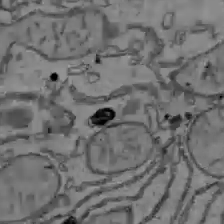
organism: C57BL Mouse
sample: Liver